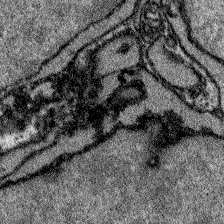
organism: Zebrafish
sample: Larval olfactory bulb